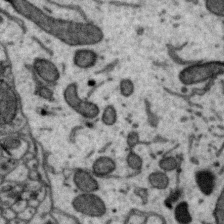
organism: Zebra finch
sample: Brain